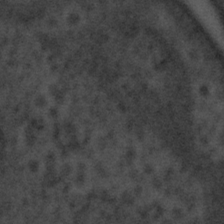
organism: Tuwongella immobilis